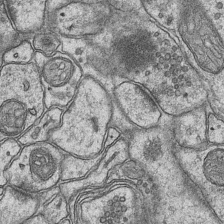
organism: Mouse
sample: CA1 Hippocampus